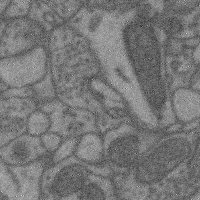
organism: Mouse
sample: Cerebral cortex